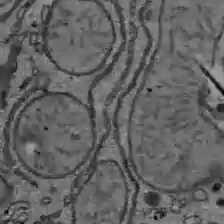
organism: C57BL Mouse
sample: Liver